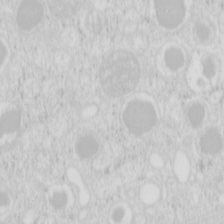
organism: Mouse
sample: Pancreas